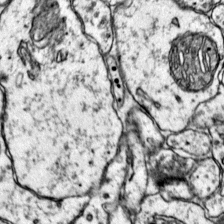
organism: Mouse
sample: Primary visual cortex